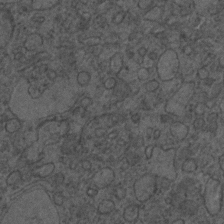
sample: Trachea